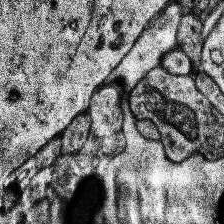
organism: Human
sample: Temporal Lobe